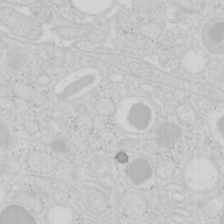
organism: Mouse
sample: Pancreas